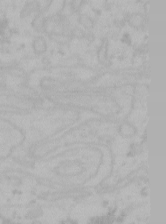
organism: Mouse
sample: Choroid plexus